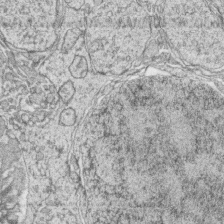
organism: Zebrafish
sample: synaptic ribbons in rod cells and cone cells